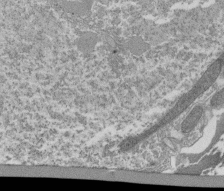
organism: Tetrahymena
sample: Cilia in tetrahymena